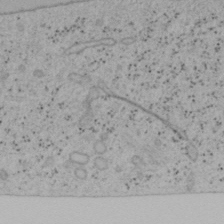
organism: Human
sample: HeLa cells